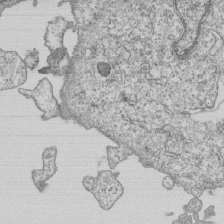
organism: Human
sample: MDA-MB-231 cells